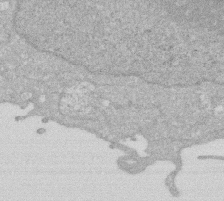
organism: Human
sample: HIV infected U937 cells